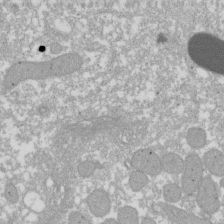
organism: Xenopus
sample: Cilia; centrioles in frog embryo cells